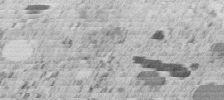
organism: C. elegans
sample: C. elegans embryo early stage